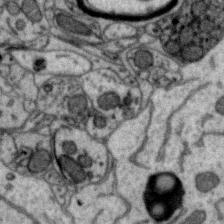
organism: Zebra finch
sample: Brain